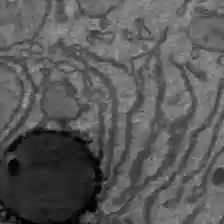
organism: C57BL Mouse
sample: Liver